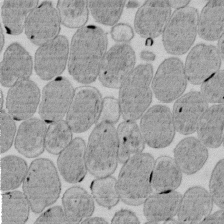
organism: E. coli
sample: Bacterial nucleoid